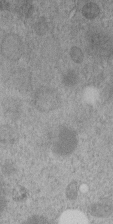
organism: C. elegans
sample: C. elegans embryo early stage